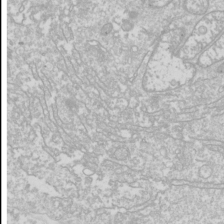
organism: Drosophila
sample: Cell division; meiosis; drosophila spermatocytes